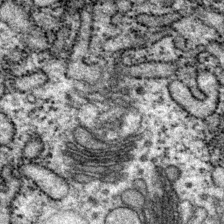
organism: P. pacificus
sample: Pharynx